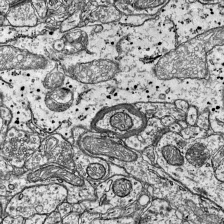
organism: Mouse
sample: Visual Cortex